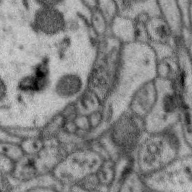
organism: Zebra finch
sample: Brain